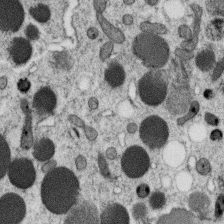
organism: C. elegans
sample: C. elegans oocyte; sperm cells